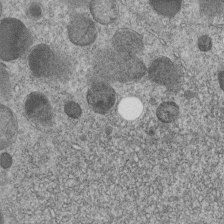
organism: C. elegans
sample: C. elegans embryo early stage